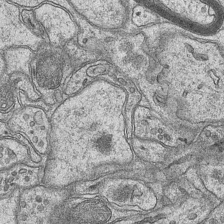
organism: Mouse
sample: CA1 Hippocampus